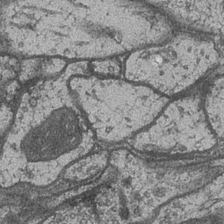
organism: Drosophila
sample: Optic medulla